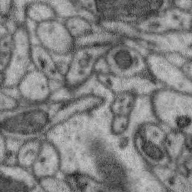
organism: Zebra finch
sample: Brain